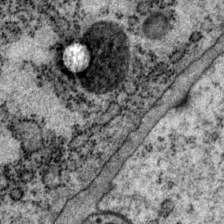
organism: P. pacificus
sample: Pharynx